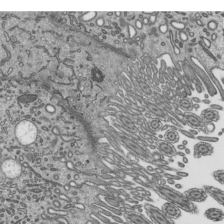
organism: Mouse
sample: Mouse epididymis efferent ductule cilia